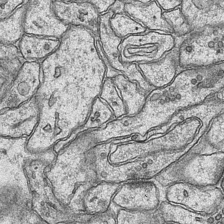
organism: Mouse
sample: CA1 Hippocampus